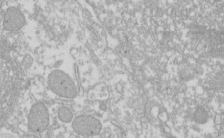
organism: Xenopus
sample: Cilia; centrioles in frog embryo cells